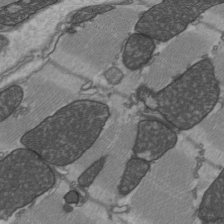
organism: C57BL Mouse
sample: Heart